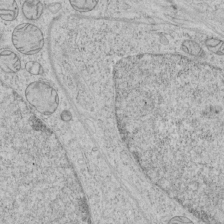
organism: Human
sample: Mitochondria in HCT116 cells